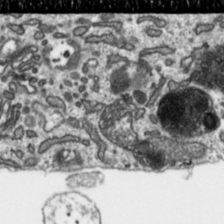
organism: Toxoplasma gondii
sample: Parasites in a vacuole inside a host cell